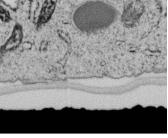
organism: C. elegans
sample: C. elegans embryo early stage